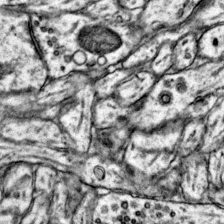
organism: Mouse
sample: Primary visual cortex